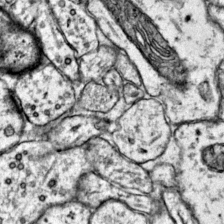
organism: Mouse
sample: Primary visual cortex